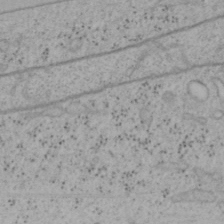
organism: Human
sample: HeLa cells